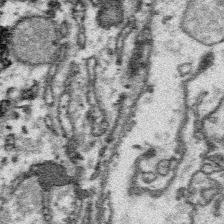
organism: Platynereis dumerilii